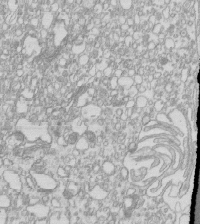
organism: Mouse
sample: Macrophages